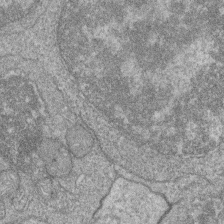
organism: Zebrafish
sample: Cilia; retinal pigment epithelium